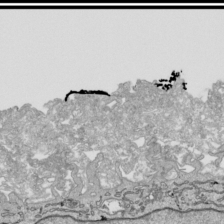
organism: Human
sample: Mitochondria in HCT116 cells